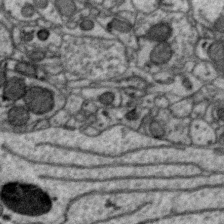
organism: Zebra finch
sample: Brain